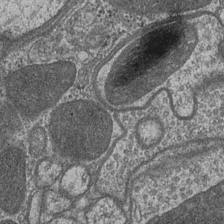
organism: Drosophila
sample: Optic medulla